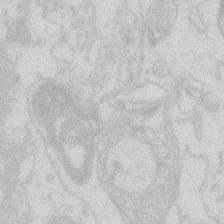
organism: Zebrafish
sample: Macrophage